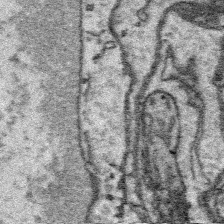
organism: Platynereis dumerilii